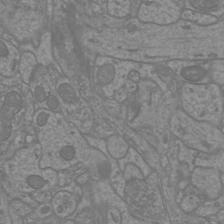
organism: Mouse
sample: Cortical neurons